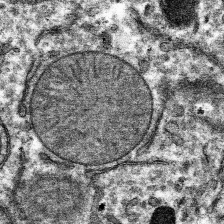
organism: Mouse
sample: Mouse hepatocytes